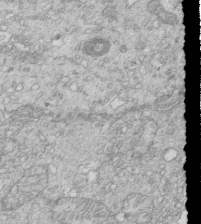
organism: Mouse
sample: Multiciliated cells